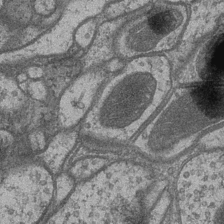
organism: Drosophila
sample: Optic medulla